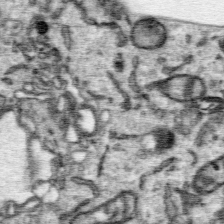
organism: Human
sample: HeLa cells